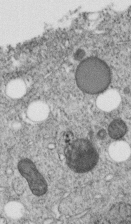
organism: C. elegans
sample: C. elegans embryo early stage